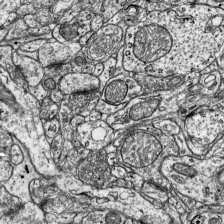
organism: Mouse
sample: Visual Cortex